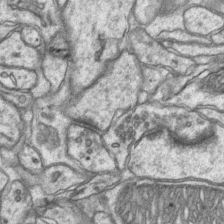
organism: Mouse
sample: CA1 Hippocampus